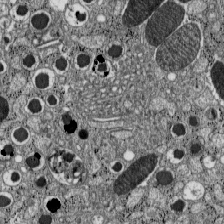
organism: C57BL Mouse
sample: Pancreatic islet